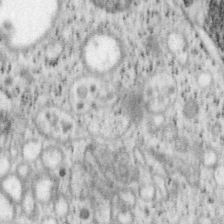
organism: Mouse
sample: OT-I killer T cells with ID8 ovarian cancer cells